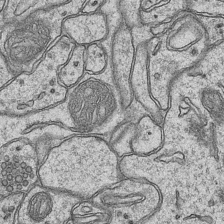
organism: Mouse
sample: CA1 Hippocampus